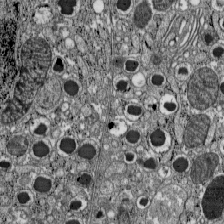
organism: C57BL Mouse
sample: Pancreatic islet